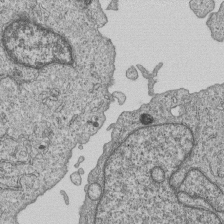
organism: Human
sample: MDA-MB-231 cells